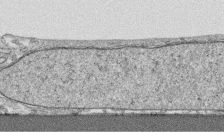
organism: Human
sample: CRL-1474